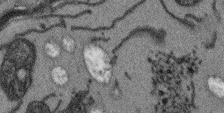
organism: Arabidopsis thaliana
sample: Root tip